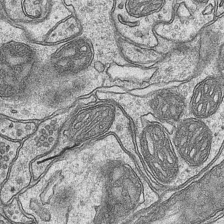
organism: Mouse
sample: CA1 Hippocampus